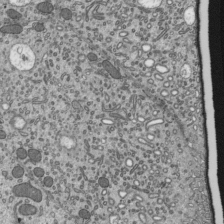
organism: Mouse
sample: Mouse epididymis efferent ductule cilia